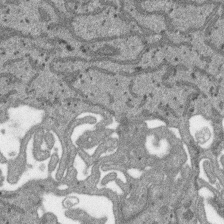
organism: Human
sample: Lung epithelial cells infected with SARS-CoV-2